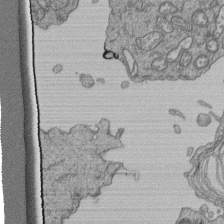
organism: Human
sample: Retinal organoid Rod and Cone cells